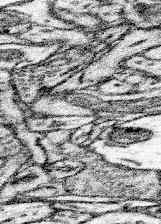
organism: Mouse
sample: Somatosensory cortex neuropil